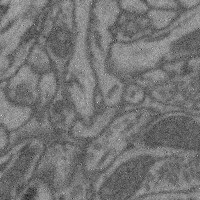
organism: Mouse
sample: Cerebral cortex